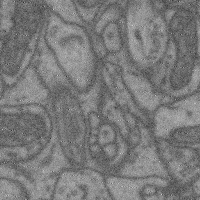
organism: Mouse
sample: Cerebral cortex